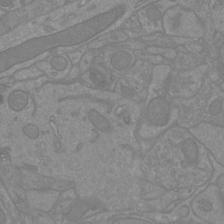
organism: Mouse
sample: Cortical neurons